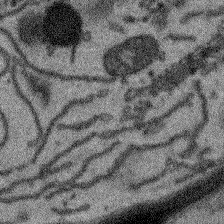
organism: Arabidopsis thaliana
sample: Root tip